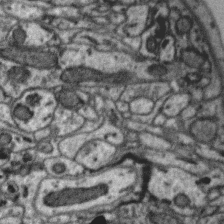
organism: Zebra finch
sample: Brain